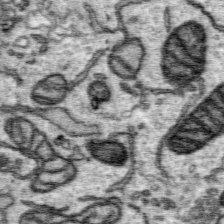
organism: Human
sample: HeLa cells